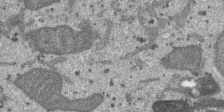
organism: Human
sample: Lung epithelial cells infected with SARS-CoV-2